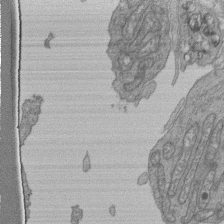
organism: Human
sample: Retinal organoid Rod and Cone cells